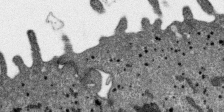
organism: Human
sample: Lung epithelial cells, uninfected (mock) control